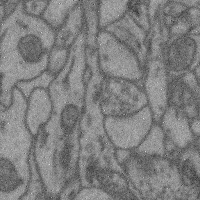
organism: Mouse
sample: Cerebral cortex